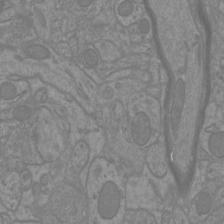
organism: Mouse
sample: Cortical neurons